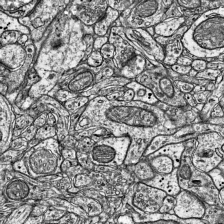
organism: Mouse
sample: Visual Cortex